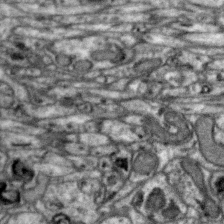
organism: Zebra finch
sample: Brain